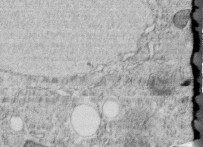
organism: C. elegans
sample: C. elegans embryo early stage